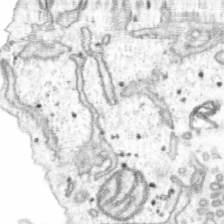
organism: Human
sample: HeLa cells